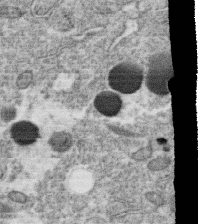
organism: C. elegans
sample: C. elegans oocyte; sperm cells